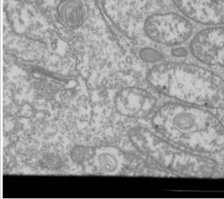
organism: Drosophila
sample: Cell division; meiosis; drosophila spermatocytes